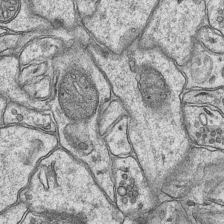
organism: Mouse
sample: CA1 Hippocampus